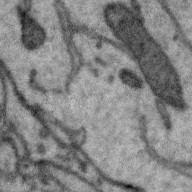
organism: Zebra finch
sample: Brain